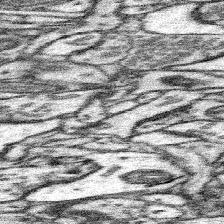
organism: Mouse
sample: Somatosensory cortex neuropil